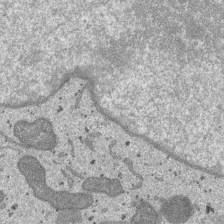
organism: Human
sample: Lung epithelial cells infected with SARS-CoV-2